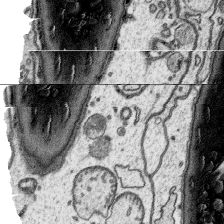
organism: Platynereis dumerilii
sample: Parapodia